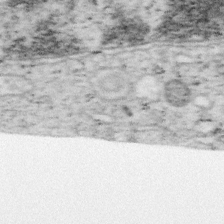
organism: Mouse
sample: OT-I killer T cells with ID8 ovarian cancer cells